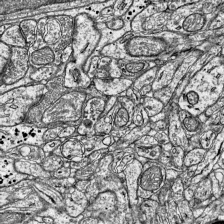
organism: Mouse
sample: Visual Cortex